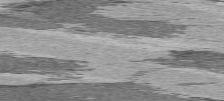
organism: C57BL Mouse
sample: Heart